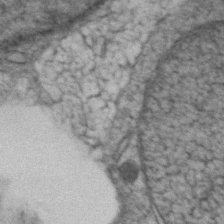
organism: Zebrafish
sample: Zebrafish embryo